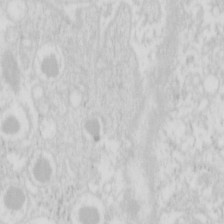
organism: Mouse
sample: Pancreas